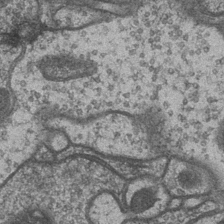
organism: Drosophila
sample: Optic medulla